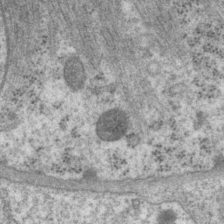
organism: P. pacificus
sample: Pharynx